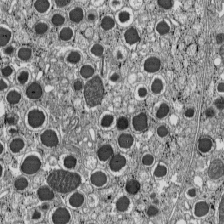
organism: C57BL Mouse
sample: Pancreatic islet